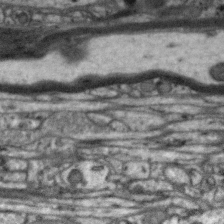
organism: Zebra finch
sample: Brain